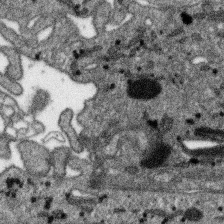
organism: Human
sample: Lung epithelial cells infected with SARS-CoV-2